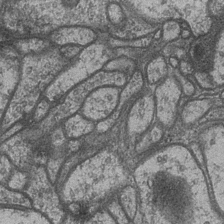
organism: Drosophila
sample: Optic medulla